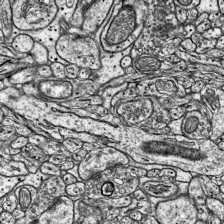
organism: Mouse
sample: Visual Cortex